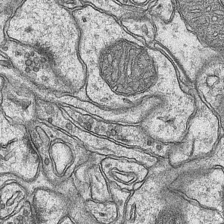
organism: Mouse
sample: CA1 Hippocampus